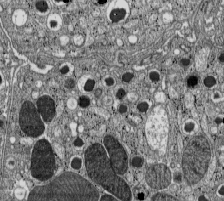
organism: C57BL Mouse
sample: Pancreatic islet